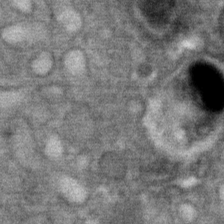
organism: Mouse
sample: Mouse Salivary gland